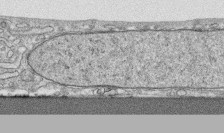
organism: Human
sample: CRL-1474